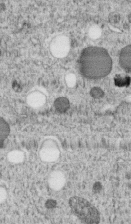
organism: C. elegans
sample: C. elegans embryo early stage